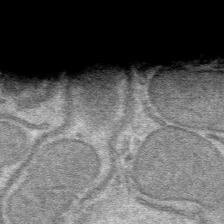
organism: Mouse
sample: Mouse hepatocytes